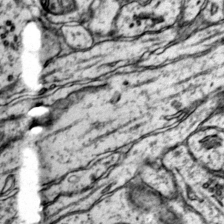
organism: Mouse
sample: Primary visual cortex